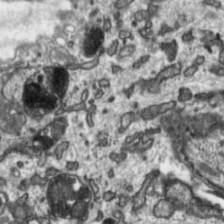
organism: Toxoplasma gondii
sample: Parasites in a vacuole inside a host cell